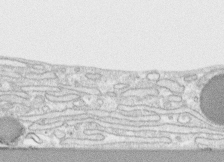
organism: Human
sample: CRL-1474